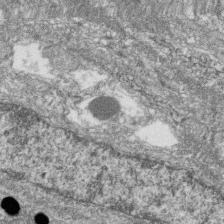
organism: Zebrafish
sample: Cilia; retinal pigment epithelium